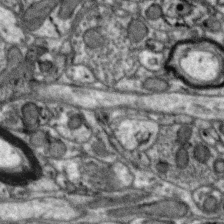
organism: Zebra finch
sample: Brain